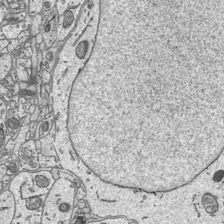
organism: Mouse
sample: Suprachiasmatic nucleus